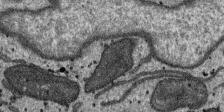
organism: Human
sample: Lung epithelial cells, uninfected (mock) control